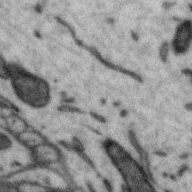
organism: Zebra finch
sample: Brain